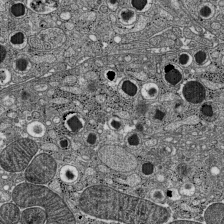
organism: C57BL Mouse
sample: Pancreatic islet